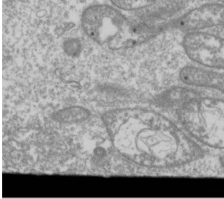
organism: Drosophila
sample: Cell division; meiosis; drosophila spermatocytes